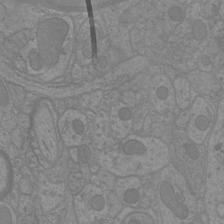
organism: Mouse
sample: Cortical neurons